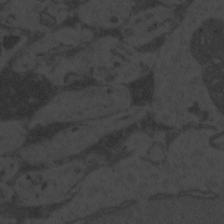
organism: Zebrafish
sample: Macrophage infected with Toxoplasma gondii